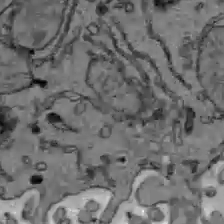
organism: C57BL Mouse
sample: Liver